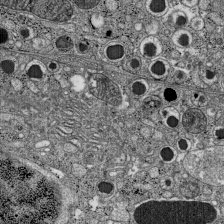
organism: C57BL Mouse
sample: Pancreatic islet